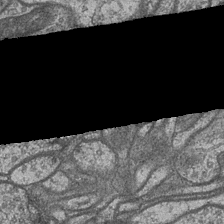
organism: Drosophila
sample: Optic medulla